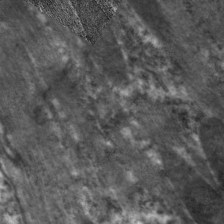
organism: C. elegans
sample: Pharynx